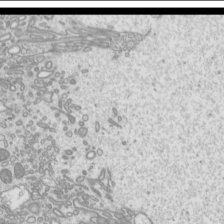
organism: Mouse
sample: Cilia; mouse epididymis